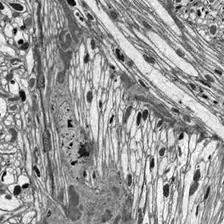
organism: Drosophila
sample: Optic lobe